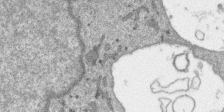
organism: Human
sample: Lung epithelial cells infected with SARS-CoV-2